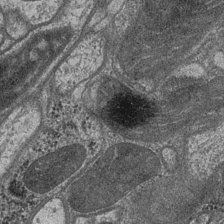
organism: Drosophila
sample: Optic medulla